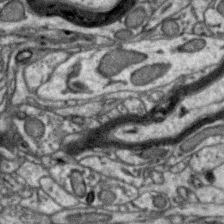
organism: Zebra finch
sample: Brain